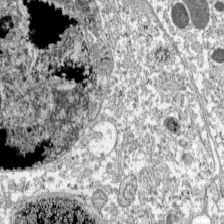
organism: C57BL Mouse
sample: Pancreatic islet